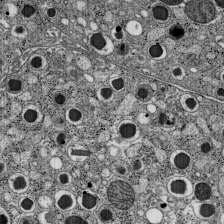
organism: C57BL Mouse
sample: Pancreatic islet